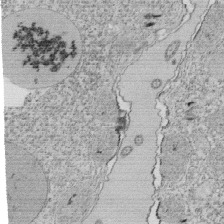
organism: Tetrahymena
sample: Cilia in tetrahymena